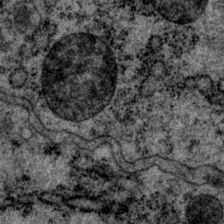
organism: P. pacificus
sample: Pharynx